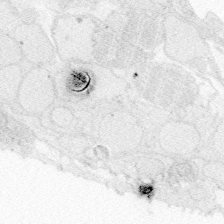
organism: Zebrafish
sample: Whole-Brain